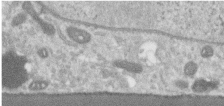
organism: Human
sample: Centriole in RPE cells